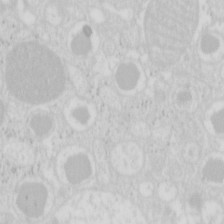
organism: Mouse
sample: Pancreas